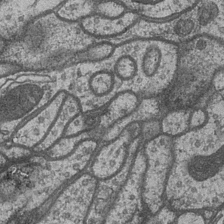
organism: Drosophila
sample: Optic medulla